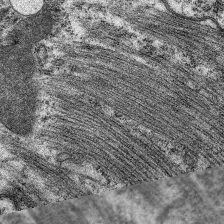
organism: C. elegans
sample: Pharynx